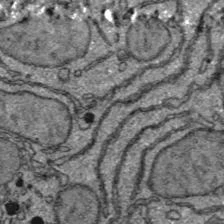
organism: C57BL Mouse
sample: Liver